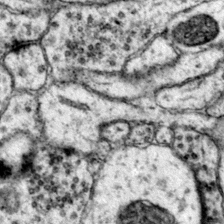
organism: Mouse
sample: Primary visual cortex